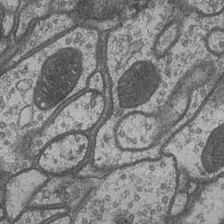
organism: Drosophila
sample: Optic medulla